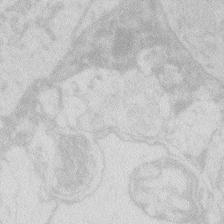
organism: Zebrafish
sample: Macrophage